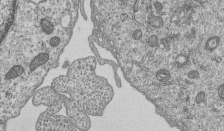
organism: Human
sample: MDA-MB-231 cells